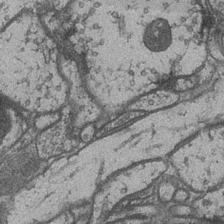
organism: Drosophila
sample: Optic medulla